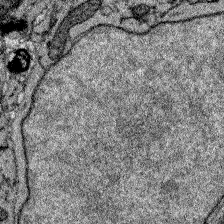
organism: Zebrafish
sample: Larval olfactory bulb